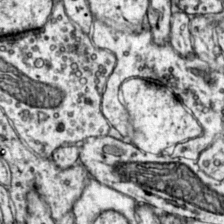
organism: Mouse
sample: Primary visual cortex